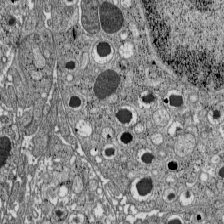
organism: C57BL Mouse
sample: Pancreatic islet